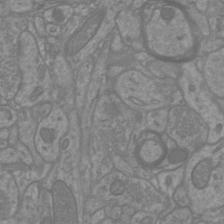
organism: Mouse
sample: Cortical neurons